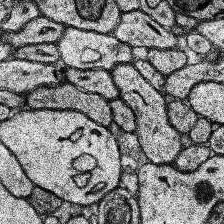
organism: Human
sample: Temporal Lobe